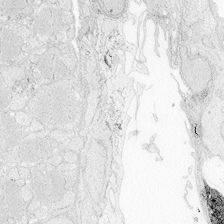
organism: Zebrafish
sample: Whole-Brain